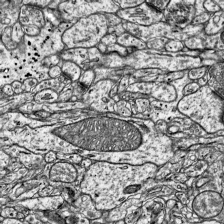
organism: Mouse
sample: Visual Cortex